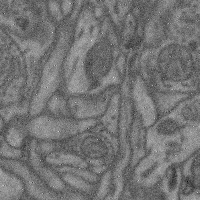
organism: Mouse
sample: Cerebral cortex